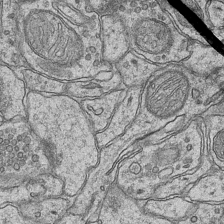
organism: Mouse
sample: CA1 Hippocampus